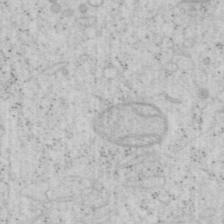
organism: Human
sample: HeLa cells